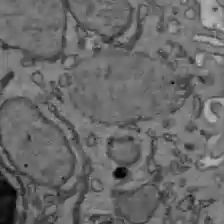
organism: C57BL Mouse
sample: Liver